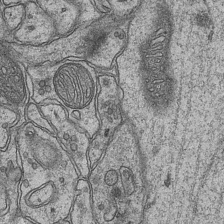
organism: Mouse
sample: CA1 Hippocampus